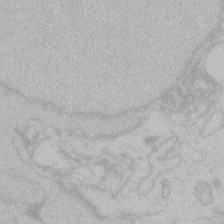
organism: Zebrafish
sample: Macrophage infected with Toxoplasma gondii